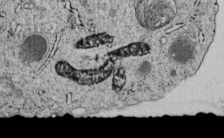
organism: C. elegans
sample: C. elegans embryo early stage